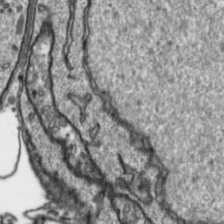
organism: Toxoplasma gondii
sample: Parasites in a vacuole inside a host cell